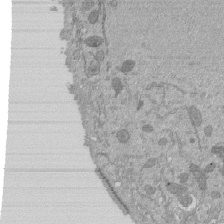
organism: Mouse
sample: ED-1 cell nuclei; centrioles